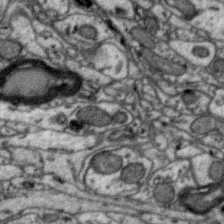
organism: Zebra finch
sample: Brain